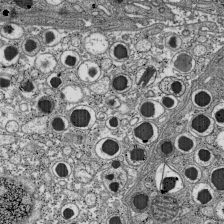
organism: C57BL Mouse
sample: Pancreatic islet